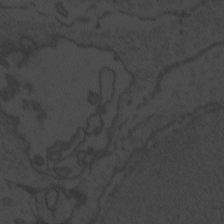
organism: Zebrafish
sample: Macrophage infected with Toxoplasma gondii